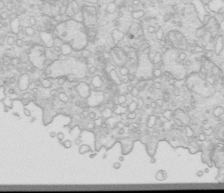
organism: Mouse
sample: Multiciliated cells